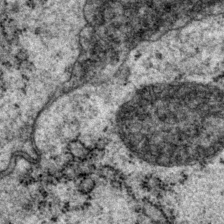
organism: P. pacificus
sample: Pharynx